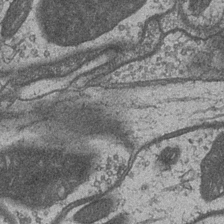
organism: Drosophila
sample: Optic medulla